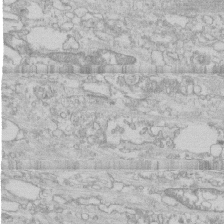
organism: Human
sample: CRL-1474